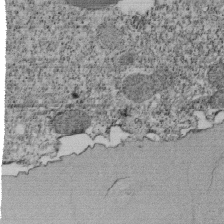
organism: Tetrahymena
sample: Cilia in tetrahymena